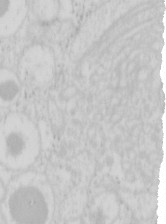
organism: Mouse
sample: Pancreas